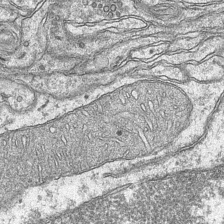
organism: Mouse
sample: CA1 Hippocampus